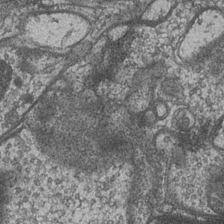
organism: Drosophila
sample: Optic medulla